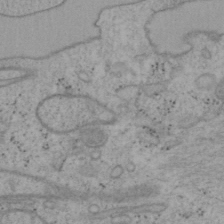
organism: Human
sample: HeLa cells